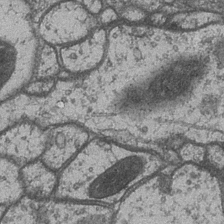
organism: Drosophila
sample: Optic medulla